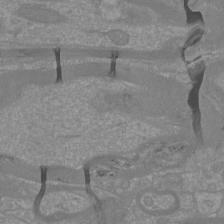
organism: Mouse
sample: Cortical neurons